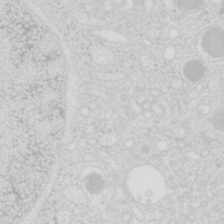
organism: Mouse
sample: Pancreas